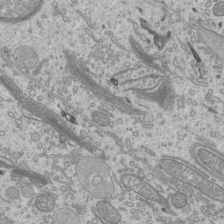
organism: Mouse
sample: Cilia; mouse epididymis